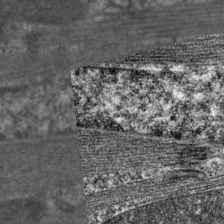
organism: C. elegans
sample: Pharynx